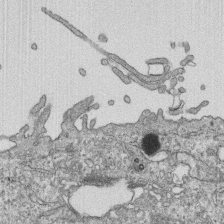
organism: Human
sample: HeLa cell HIV synapse